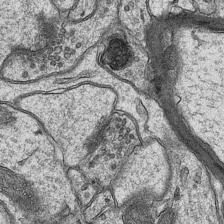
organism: Mouse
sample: CA1 Hippocampus